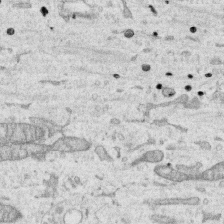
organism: Human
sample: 1205lu cells